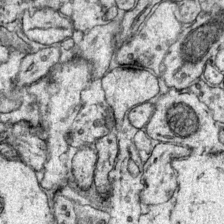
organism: Mouse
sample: Primary visual cortex